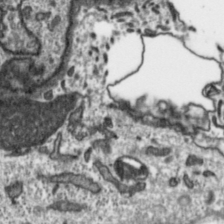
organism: Toxoplasma gondii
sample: Parasites in a vacuole inside a host cell